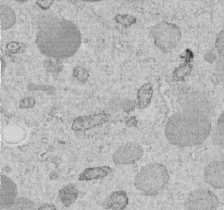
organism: C. elegans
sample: C. elegans embryo early stage